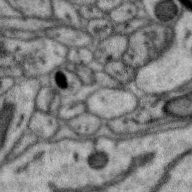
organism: Zebra finch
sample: Brain